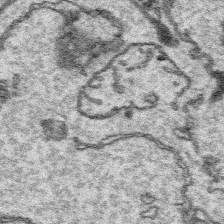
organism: Platynereis dumerilii